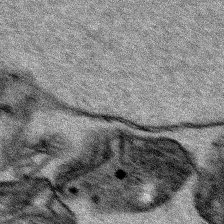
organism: Human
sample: Mitochondria in HCT116 cells